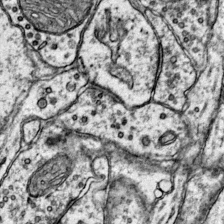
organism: Mouse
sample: Primary visual cortex